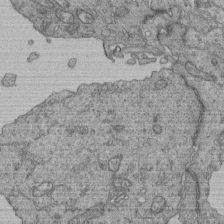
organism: Human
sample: Retinal organoid Rod and Cone cells